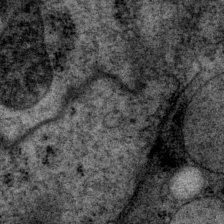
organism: P. pacificus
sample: Pharynx